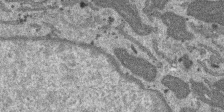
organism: Human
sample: Lung epithelial cells infected with SARS-CoV-2